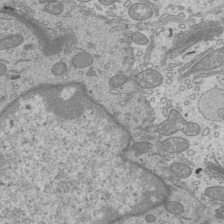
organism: Mouse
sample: Cilia; mouse epididymis